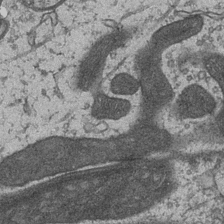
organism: Drosophila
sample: Optic medulla